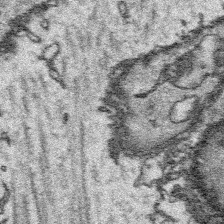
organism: Platynereis dumerilii